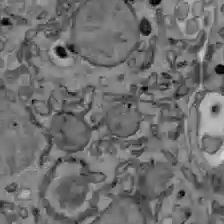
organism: C57BL Mouse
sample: Liver